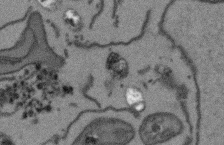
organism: Arabidopsis thaliana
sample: Root tip